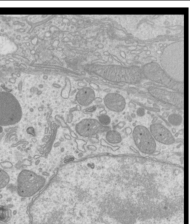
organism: Mouse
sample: Cilia; mouse epididymis